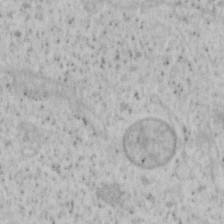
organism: Human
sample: HeLa cells